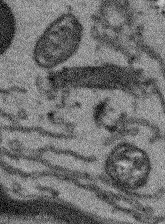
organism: Arabidopsis thaliana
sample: Root tip